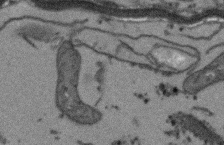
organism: Arabidopsis thaliana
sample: Root tip